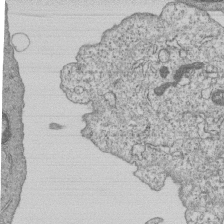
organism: Human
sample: MDA-MB-231 cells